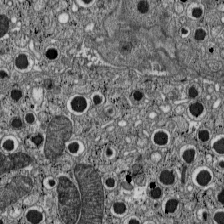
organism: C57BL Mouse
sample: Pancreatic islet